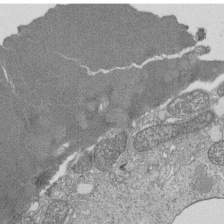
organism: Tetrahymena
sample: Cilia in tetrahymena